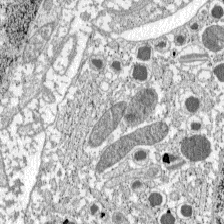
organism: C57BL Mouse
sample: Pancreatic islet